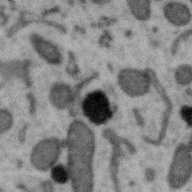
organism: Zebra finch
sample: Brain